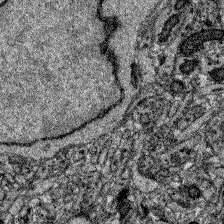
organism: Zebrafish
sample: Larval olfactory bulb